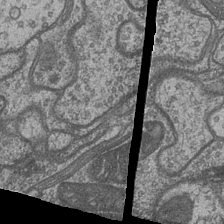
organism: Drosophila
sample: Optic medulla